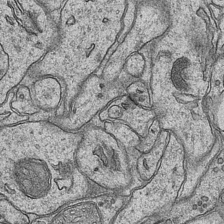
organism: Mouse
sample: CA1 Hippocampus